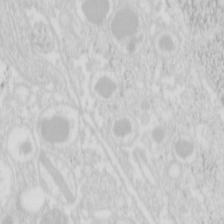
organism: Mouse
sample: Pancreas